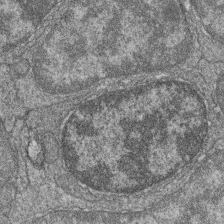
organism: Zebrafish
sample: Cilia; retinal pigment epithelium